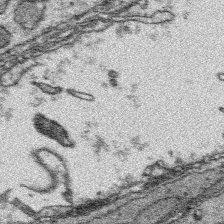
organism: Platynereis dumerilii